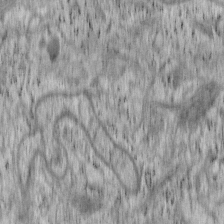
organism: Human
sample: HeLa cells